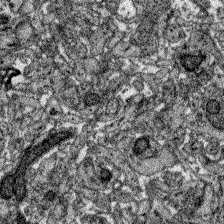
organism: Zebrafish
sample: Larval olfactory bulb